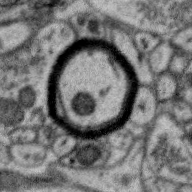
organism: Zebra finch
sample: Brain